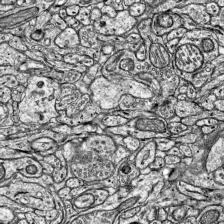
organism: Mouse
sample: Visual Cortex